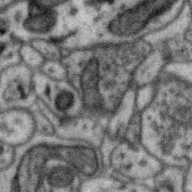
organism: Zebra finch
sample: Brain